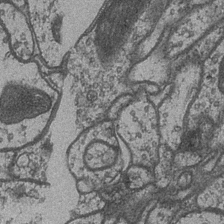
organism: Drosophila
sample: Optic medulla